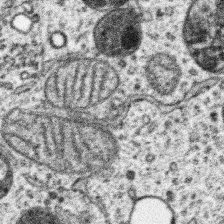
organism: Human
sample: HeLa cells